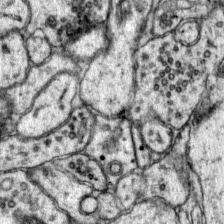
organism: Mouse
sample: Primary visual cortex